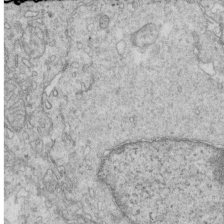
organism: Mouse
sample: Multiciliated cells